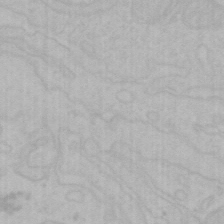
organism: Mouse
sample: Choroid plexus